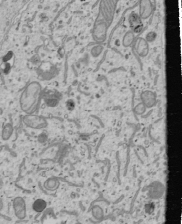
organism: Human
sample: Mitochondria in U2OS cells